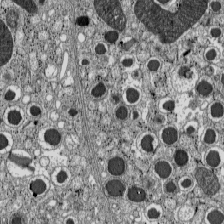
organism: C57BL Mouse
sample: Pancreatic islet